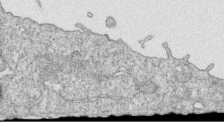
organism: Human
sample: HeLa cell HIV synapse